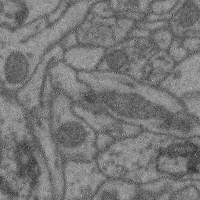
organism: Mouse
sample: Cerebral cortex